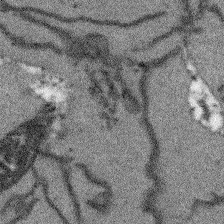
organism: Arabidopsis thaliana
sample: Root tip